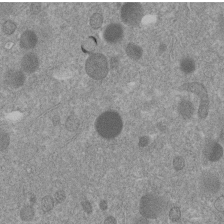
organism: C. elegans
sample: C. elegans embryo early stage